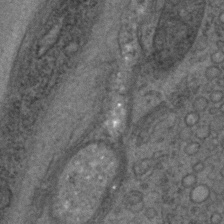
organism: C. elegans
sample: C. elegans embryo